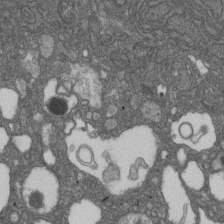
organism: Drosophila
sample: Nephrocyte